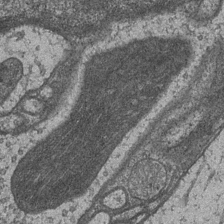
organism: Drosophila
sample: Optic medulla